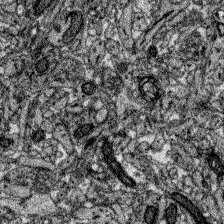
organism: Zebrafish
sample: Larval olfactory bulb